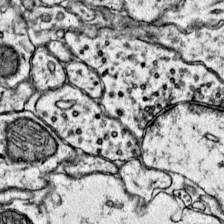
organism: Mouse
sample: Primary visual cortex